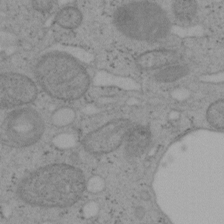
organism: Mouse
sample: OT-I killer T cells with ID8 ovarian cancer cells